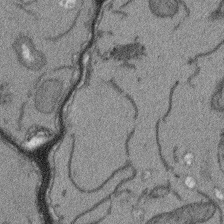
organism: Arabidopsis thaliana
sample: Root tip